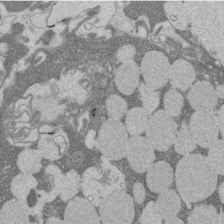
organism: Rat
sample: Salivary granule